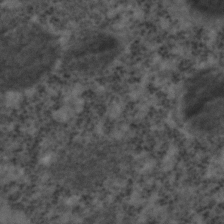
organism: C. elegans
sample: C. elegans embryo